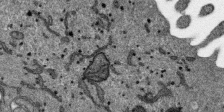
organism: Human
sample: Lung epithelial cells, uninfected (mock) control